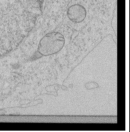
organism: Human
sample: Mitochondria in HCT116 cells